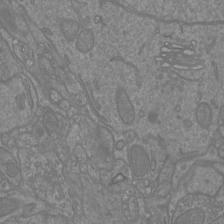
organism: Mouse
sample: Cortical neurons